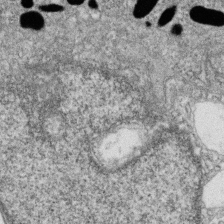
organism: Zebrafish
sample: Cilia; retinal pigment epithelium